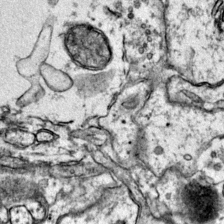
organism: Mouse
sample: Primary visual cortex